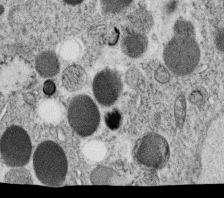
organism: C. elegans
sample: C. elegans oocyte; sperm cells